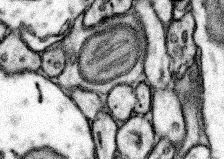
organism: Mouse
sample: Somatosensory cortex neuropil